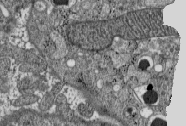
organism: C57BL Mouse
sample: Pancreatic islet